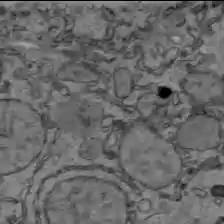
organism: C57BL Mouse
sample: Liver